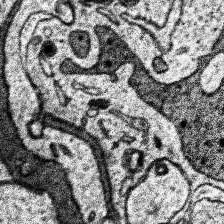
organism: Human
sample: Temporal Lobe